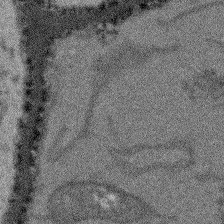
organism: Arabidopsis thaliana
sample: Root tip